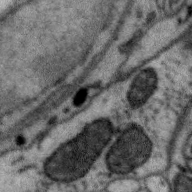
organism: Zebra finch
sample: Brain